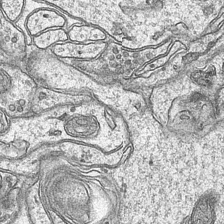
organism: Mouse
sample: CA1 Hippocampus